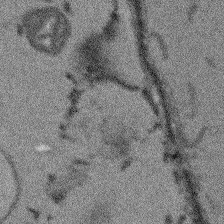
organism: Arabidopsis thaliana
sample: Root tip